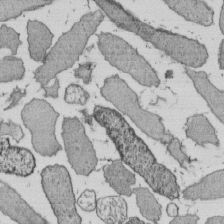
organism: E. coli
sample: Bacterial nucleoid